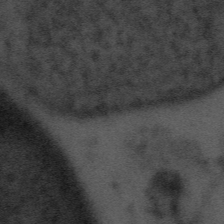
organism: Tuwongella immobilis